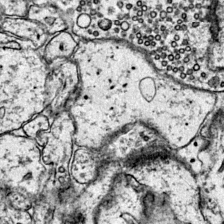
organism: Mouse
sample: Primary visual cortex